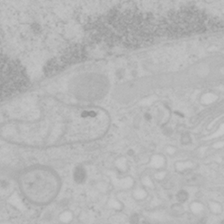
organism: Mouse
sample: OT-I killer T cells with ID8 ovarian cancer cells